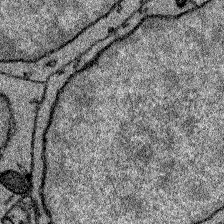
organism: Zebrafish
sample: Larval olfactory bulb